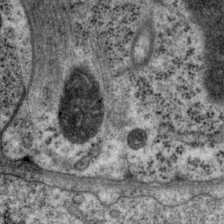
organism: P. pacificus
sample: Pharynx